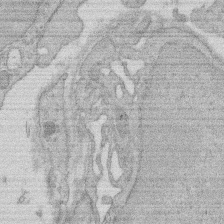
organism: Rat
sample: Salivary granule